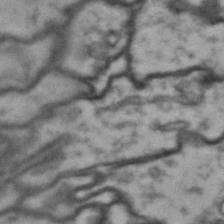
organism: Drosophila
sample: Brain